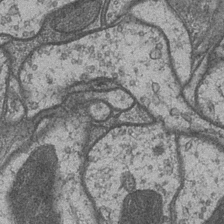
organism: Drosophila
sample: Optic medulla